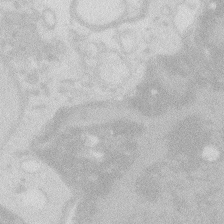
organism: Zebrafish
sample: Macrophage